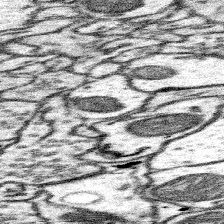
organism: Mouse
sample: Somatosensory cortex neuropil